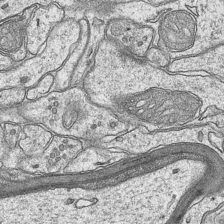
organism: Mouse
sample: CA1 Hippocampus